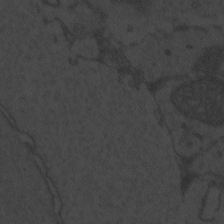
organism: Zebrafish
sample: Macrophage infected with Toxoplasma gondii